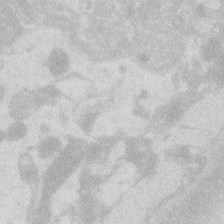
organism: Zebrafish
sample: Macrophage